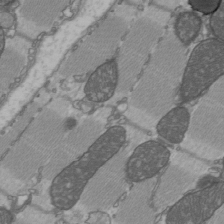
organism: C57BL Mouse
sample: Heart